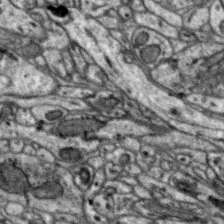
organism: Zebra finch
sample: Brain